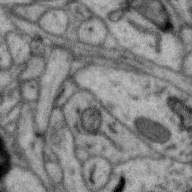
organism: Zebra finch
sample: Brain